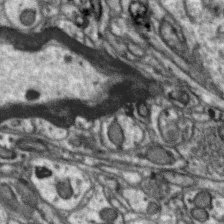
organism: Zebra finch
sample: Brain